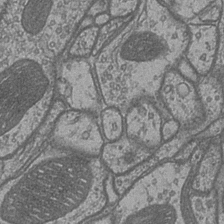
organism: Drosophila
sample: Optic medulla